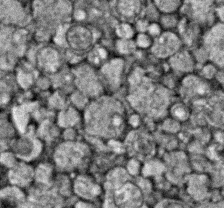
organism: Zebrafish